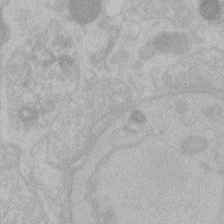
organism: Zebrafish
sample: Macrophage infected with Toxoplasma gondii